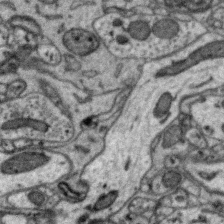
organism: Zebra finch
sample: Brain